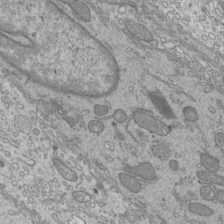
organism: Mouse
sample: Cilia; mouse epididymis